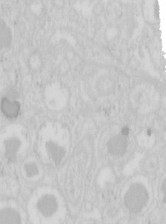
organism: Mouse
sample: Pancreas